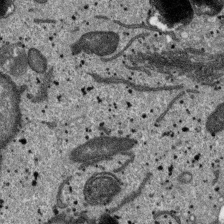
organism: Human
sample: Lung epithelial cells, uninfected (mock) control